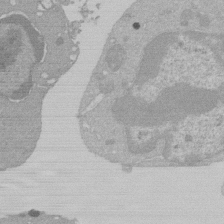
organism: Mouse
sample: Activated Pmel transgenic CD8+ T Cells